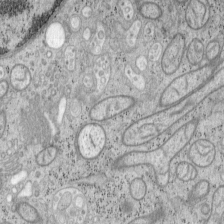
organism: Mouse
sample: OT-I killer T cells with ID8 ovarian cancer cells